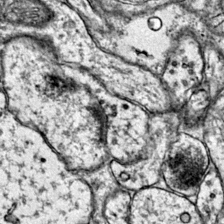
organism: Mouse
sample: Primary visual cortex